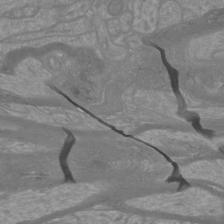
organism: Mouse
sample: Cortical neurons